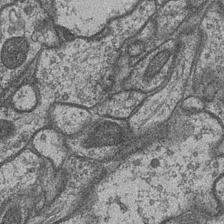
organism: Drosophila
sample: Optic medulla